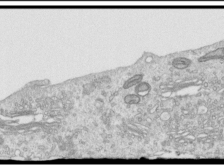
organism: Human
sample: Centriole in RPE cells